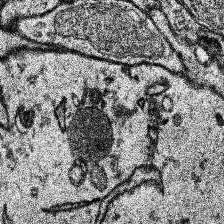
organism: Human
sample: Temporal Lobe